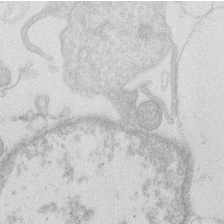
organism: Human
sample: Macrophage cells